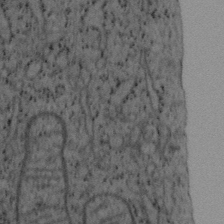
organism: Human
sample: HeLa cells